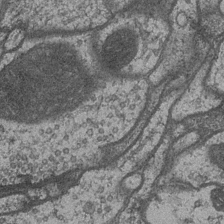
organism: Drosophila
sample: Optic medulla